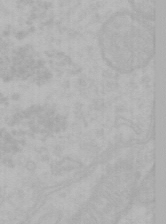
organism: Mouse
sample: Choroid plexus